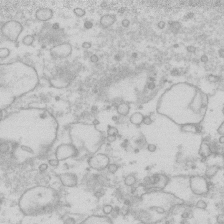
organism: Human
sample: Fibroblast cells